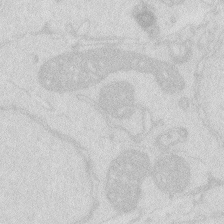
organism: Zebrafish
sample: Macrophage